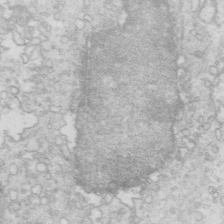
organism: Mouse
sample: Multiciliated cells